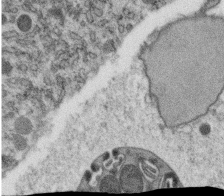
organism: C. elegans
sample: C. elegans oocyte; sperm cells